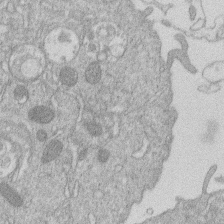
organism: Human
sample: Macrophage cells